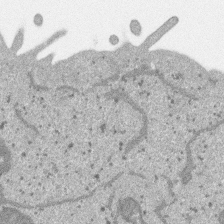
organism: Human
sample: Lung epithelial cells infected with SARS-CoV-2